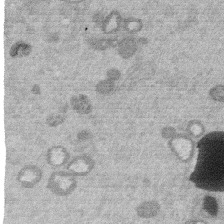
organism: Mouse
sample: Dividing mouse embryo 1 cell stage